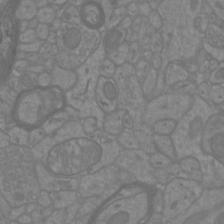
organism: Mouse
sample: Cortical neurons